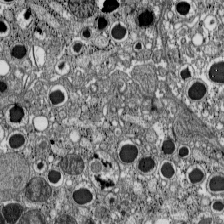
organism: C57BL Mouse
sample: Pancreatic islet